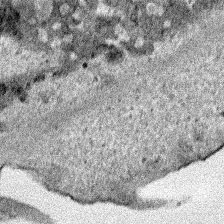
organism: Human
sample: Mitochondria in HCT116 cells